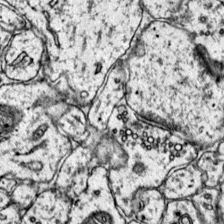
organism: Mouse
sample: Primary visual cortex